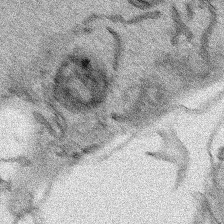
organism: Human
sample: Mitochondria in HCT116 cells